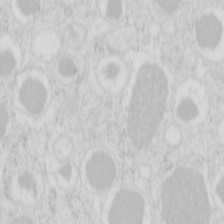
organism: Mouse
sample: Pancreas